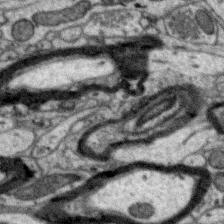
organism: Zebra finch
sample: Brain